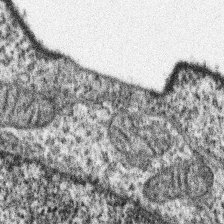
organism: Human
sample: HeLa cells